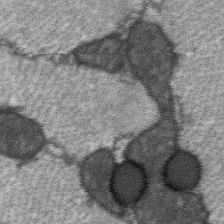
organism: C57BL Mouse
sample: Soleus